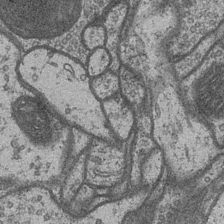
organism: Drosophila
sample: Optic medulla